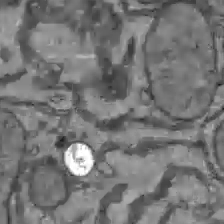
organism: C57BL Mouse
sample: Liver